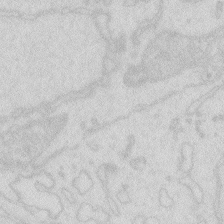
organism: Zebrafish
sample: Macrophage